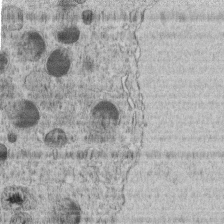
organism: C. elegans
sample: C. elegans embryo early stage